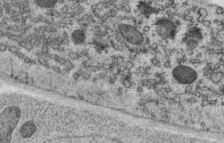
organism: C. elegans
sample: C. elegans oocyte; sperm cells